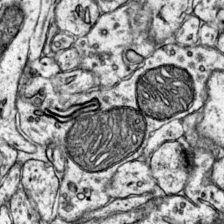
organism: Mouse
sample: Primary visual cortex